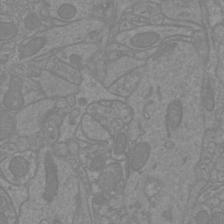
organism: Mouse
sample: Cortical neurons